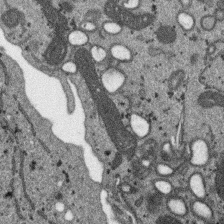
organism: Human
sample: Lung epithelial cells infected with SARS-CoV-2